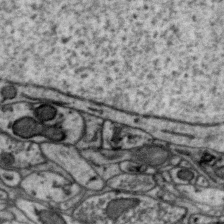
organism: Zebra finch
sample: Brain